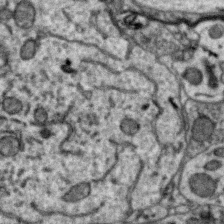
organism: Zebra finch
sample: Brain